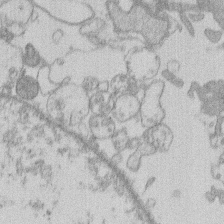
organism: Human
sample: Macrophage cells